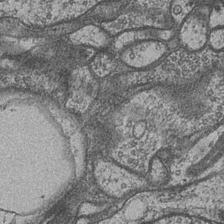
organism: Drosophila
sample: Optic medulla